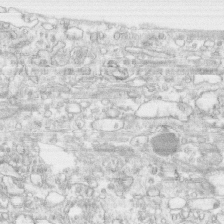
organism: Human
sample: CRL-1474